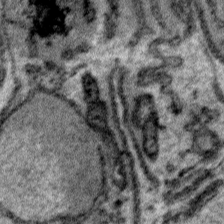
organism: Plasmodium falciparum